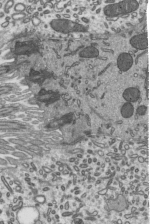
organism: Mouse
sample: Mouse epididymis efferent ductule cilia